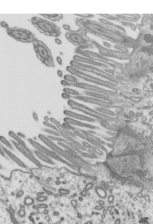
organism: Mouse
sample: Mouse epididymis efferent ductule cilia